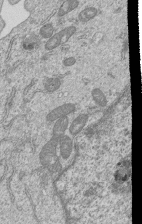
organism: Human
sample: MDA-MB-231 cells